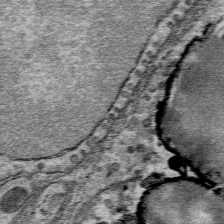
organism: Mouse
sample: Mouse Salivary gland